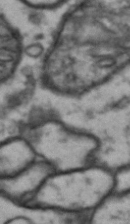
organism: Drosophila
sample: Brain